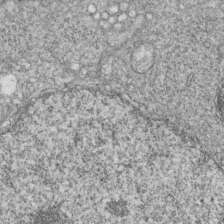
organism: Zebrafish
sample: Cilia; retinal pigment epithelium